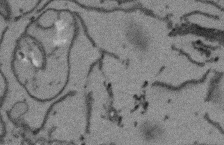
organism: Arabidopsis thaliana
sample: Root tip